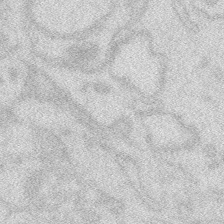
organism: Zebrafish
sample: Macrophage